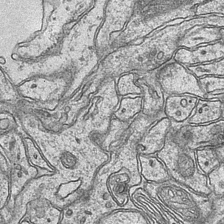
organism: Mouse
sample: CA1 Hippocampus